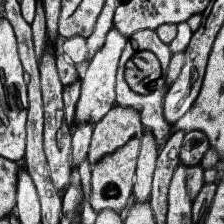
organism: Human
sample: Temporal Lobe